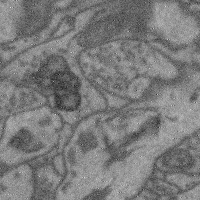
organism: Mouse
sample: Cerebral cortex